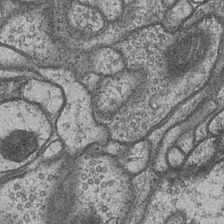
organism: Drosophila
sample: Optic medulla